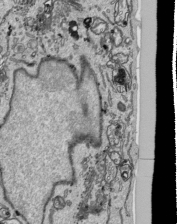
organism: Human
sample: Mitochondria in HCT116 cells